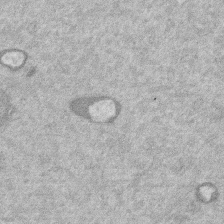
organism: Mouse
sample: Dividing mouse embryo 1 cell stage